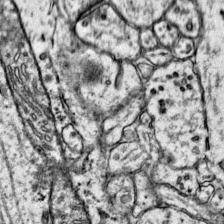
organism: Mouse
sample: Primary visual cortex